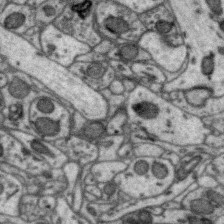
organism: Zebra finch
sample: Brain